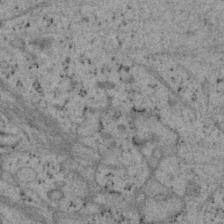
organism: Human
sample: HeLa cells